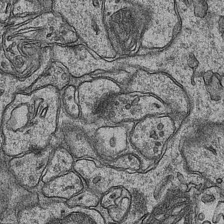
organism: Mouse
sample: CA1 Hippocampus